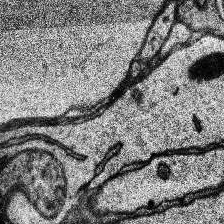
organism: Human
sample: Temporal Lobe